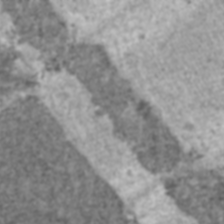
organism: C57BL Mouse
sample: Heart